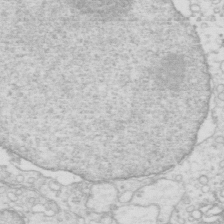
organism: Mouse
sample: Multiciliated cells